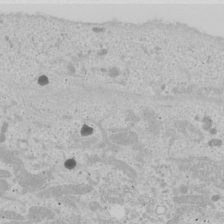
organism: Human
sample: Mitochondria in U2OS cells